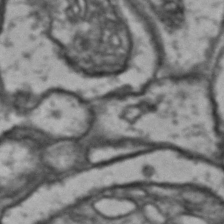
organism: Drosophila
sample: Brain